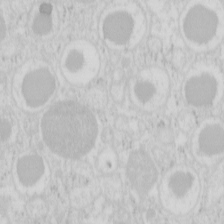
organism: Mouse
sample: Pancreas